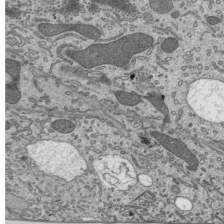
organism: Mouse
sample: Mouse epididymis efferent ductule cilia